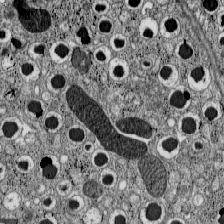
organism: C57BL Mouse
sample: Pancreatic islet